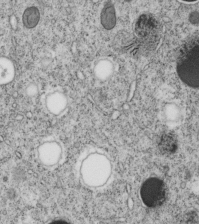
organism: C. elegans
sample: C. elegans embryo early stage